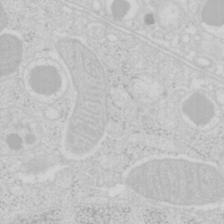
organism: Mouse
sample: Pancreas